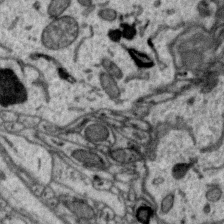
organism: Zebra finch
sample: Brain